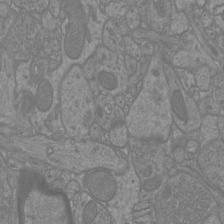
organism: Mouse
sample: Cortical neurons